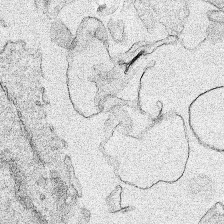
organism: Human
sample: Mitochondria in HCT116 cells